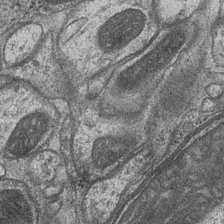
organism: Drosophila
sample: Optic medulla